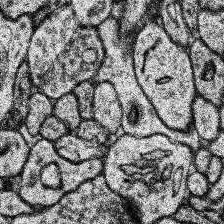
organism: Human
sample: Temporal Lobe